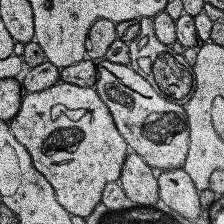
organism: Human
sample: Temporal Lobe